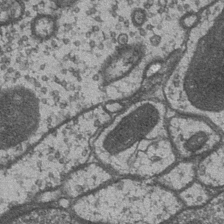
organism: Drosophila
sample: Optic medulla